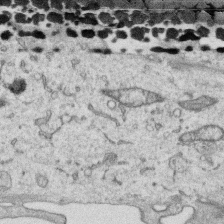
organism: Human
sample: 1205lu cells